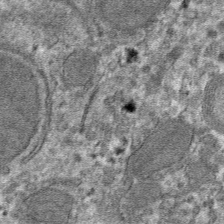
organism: Mouse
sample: Mouse hepatocytes